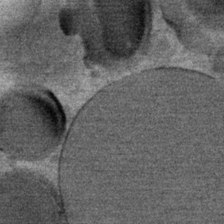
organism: Mouse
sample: Mouse Salivary gland